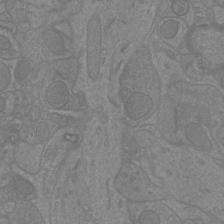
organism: Mouse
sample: Cortical neurons